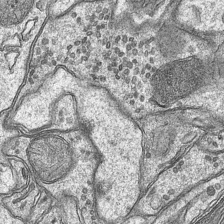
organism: Mouse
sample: CA1 Hippocampus